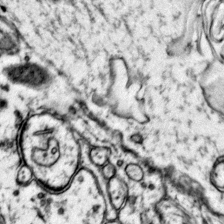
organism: Mouse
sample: Primary visual cortex